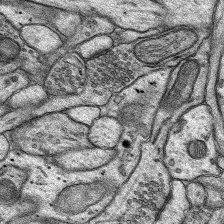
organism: Rat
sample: Hippocampus